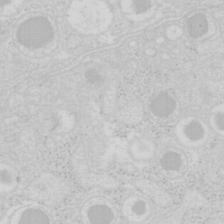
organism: Mouse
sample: Pancreas